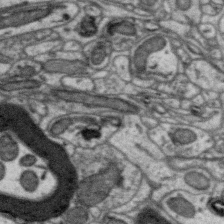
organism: Zebra finch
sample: Brain